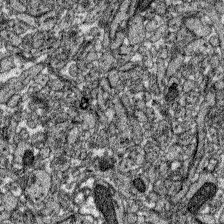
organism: Zebrafish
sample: Larval olfactory bulb